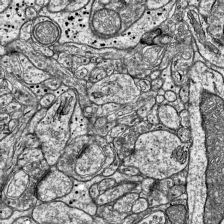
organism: Mouse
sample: Visual Cortex